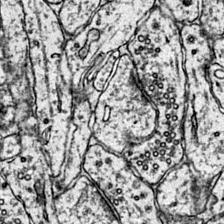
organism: Mouse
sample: Primary visual cortex